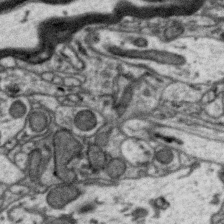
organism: Zebra finch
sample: Brain